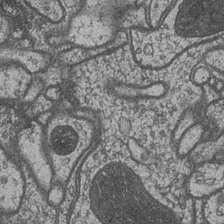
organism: Drosophila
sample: Optic medulla